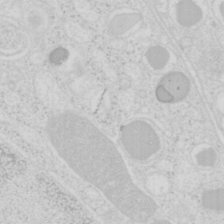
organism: Mouse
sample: Pancreas